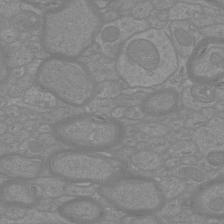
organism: Mouse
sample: Cortical neurons